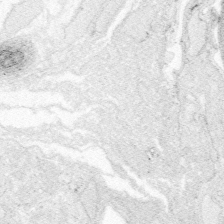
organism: Zebrafish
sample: Whole-Brain